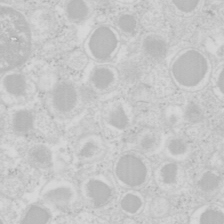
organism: Mouse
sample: Pancreas